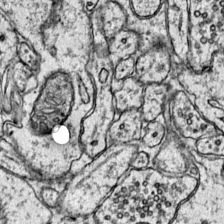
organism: Mouse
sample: Primary visual cortex